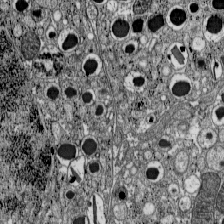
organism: C57BL Mouse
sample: Pancreatic islet